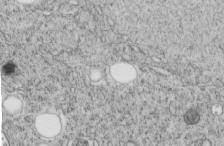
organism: C. elegans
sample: C. elegans embryo early stage